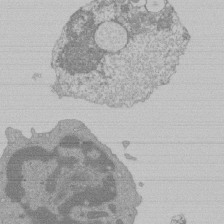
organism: Mouse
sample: Activated Pmel transgenic CD8+ T Cells